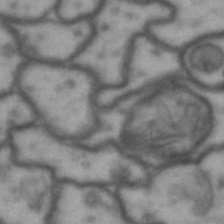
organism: Drosophila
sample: Brain